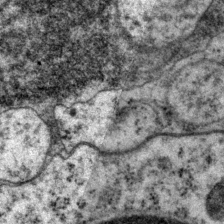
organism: P. pacificus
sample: Pharynx